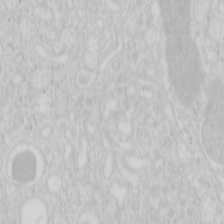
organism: Mouse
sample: Pancreas